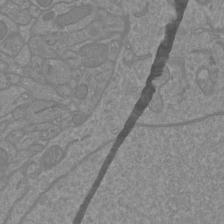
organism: Mouse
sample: Cortical neurons